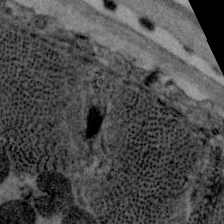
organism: C. elegans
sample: Pharynx